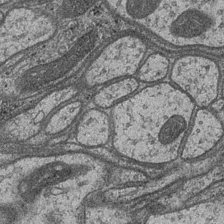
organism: Drosophila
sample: Optic medulla